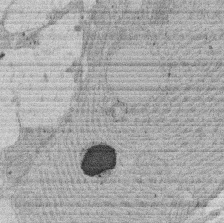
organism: Rat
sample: Salivary granule